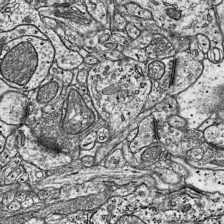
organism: Mouse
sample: Visual Cortex